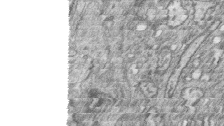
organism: Zebrafish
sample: synaptic ribbons in rod cells and cone cells